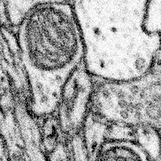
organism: Mouse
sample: Somatosensory cortex neuropil